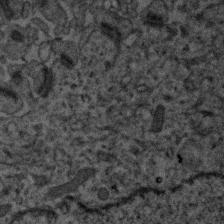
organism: Human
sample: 1205lu cells